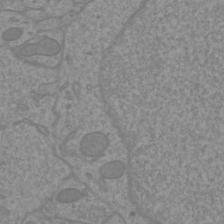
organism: Mouse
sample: Cortical neurons